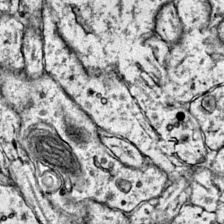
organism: Mouse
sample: Primary visual cortex